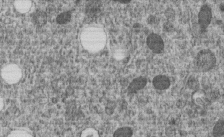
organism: C. elegans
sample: C. elegans embryo early stage